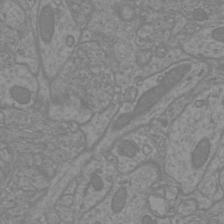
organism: Mouse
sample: Cortical neurons